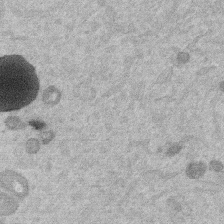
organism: Mouse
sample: Dividing mouse embryo 1 cell stage